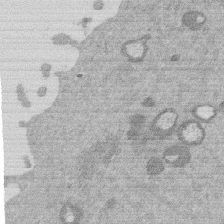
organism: Mouse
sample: Dividing mouse embryo 1 cell stage